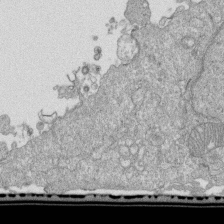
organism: Human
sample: HeLa cell HIV synapse